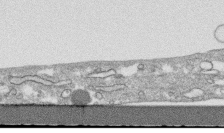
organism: Human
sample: CRL-1474